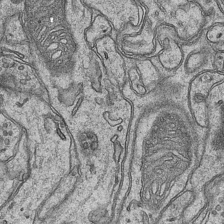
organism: Mouse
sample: CA1 Hippocampus